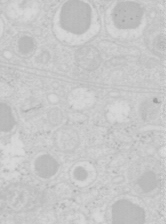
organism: Mouse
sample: Pancreas